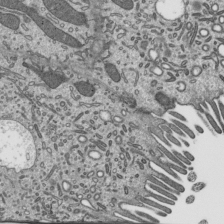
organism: Mouse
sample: Mouse epididymis efferent ductule cilia